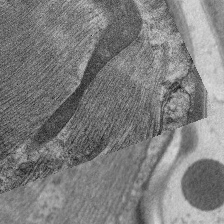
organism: C. elegans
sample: Pharynx